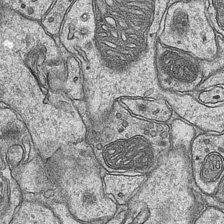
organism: Mouse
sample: CA1 Hippocampus